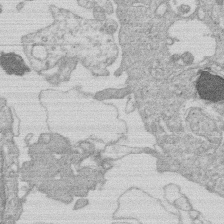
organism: Human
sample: Macrophage cells